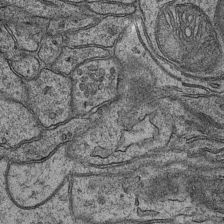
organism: Mouse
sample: CA1 Hippocampus